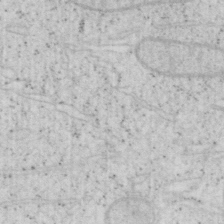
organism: Human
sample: HeLa cells